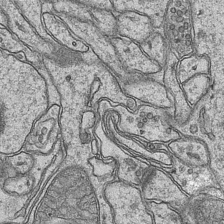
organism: Mouse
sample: CA1 Hippocampus